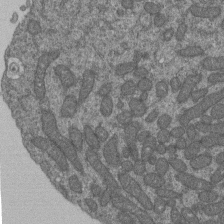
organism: Human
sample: Retinal organoid Rod and Cone cells